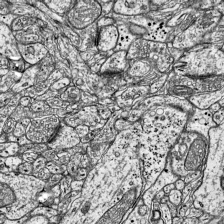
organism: Mouse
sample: Visual Cortex